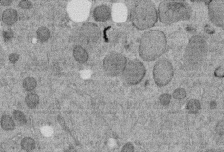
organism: C. elegans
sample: C. elegans embryo early stage